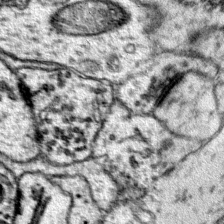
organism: Mouse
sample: Primary visual cortex